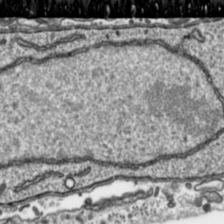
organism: Toxoplasma gondii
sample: Parasites in a vacuole inside a host cell